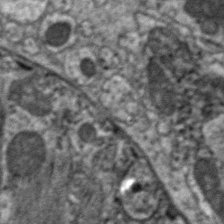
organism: C. elegans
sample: Pharynx